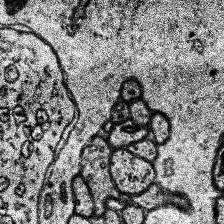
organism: Human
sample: Temporal Lobe